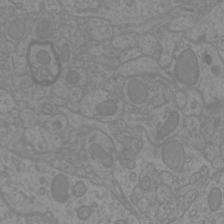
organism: Mouse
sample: Cortical neurons